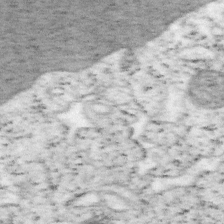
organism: Mouse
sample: OT-I killer T cells with ID8 ovarian cancer cells